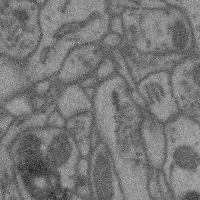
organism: Mouse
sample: Cerebral cortex